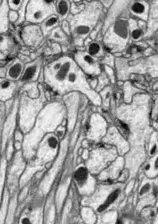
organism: Drosophila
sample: Optic lobe